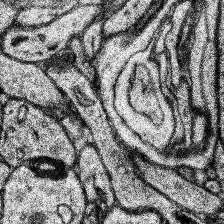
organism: Human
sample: Temporal Lobe